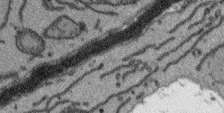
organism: Arabidopsis thaliana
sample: Root tip